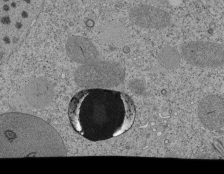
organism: Tetrahymena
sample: Cilia in tetrahymena